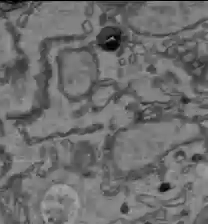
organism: C57BL Mouse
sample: Liver